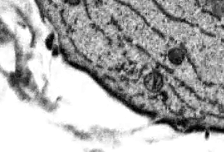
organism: Human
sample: HeLa cells